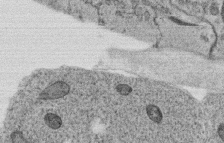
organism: C. elegans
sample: C. elegans oocyte; sperm cells